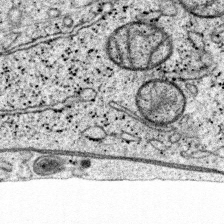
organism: Human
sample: HeLa cells